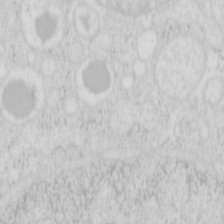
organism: Mouse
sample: Pancreas